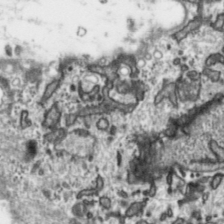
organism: Toxoplasma gondii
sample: Parasites in a vacuole inside a host cell